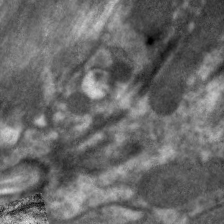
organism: C. elegans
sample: Pharynx